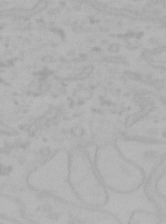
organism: Mouse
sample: Choroid plexus